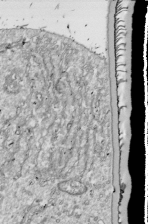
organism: Drosophila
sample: Cell division; meiosis; drosophila spermatocytes